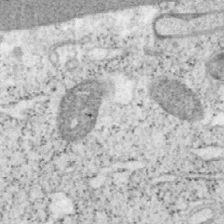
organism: Mouse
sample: OT-I killer T cells with ID8 ovarian cancer cells